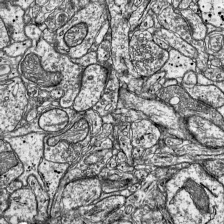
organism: Mouse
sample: Visual Cortex